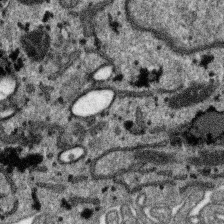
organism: Human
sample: Lung epithelial cells infected with SARS-CoV-2